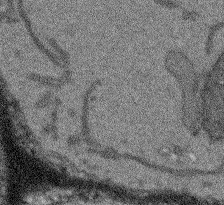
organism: Arabidopsis thaliana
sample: Root tip